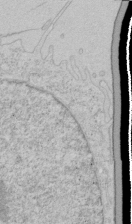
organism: Human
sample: Mitochondria in HCT116 cells